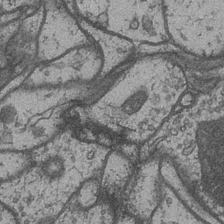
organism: Drosophila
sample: Optic medulla